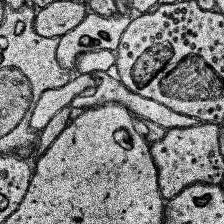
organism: Human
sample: Temporal Lobe